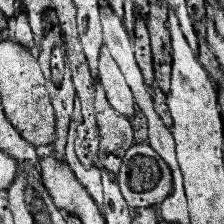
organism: Human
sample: Temporal Lobe